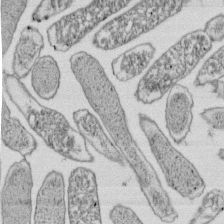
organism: E. coli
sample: Bacterial nucleoid